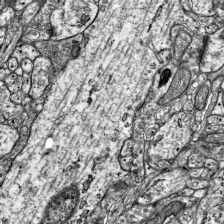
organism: Mouse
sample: Visual Cortex